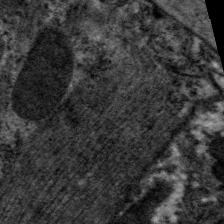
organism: C. elegans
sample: Pharynx